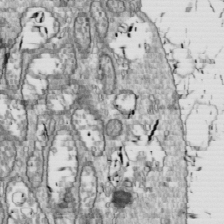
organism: Drosophila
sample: Cell division; meiosis; drosophila spermatocytes